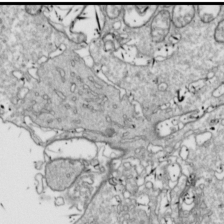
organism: Drosophila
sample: Cell division; meiosis; drosophila spermatocytes